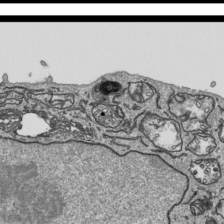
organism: Human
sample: Mitochondria in HCT116 cells